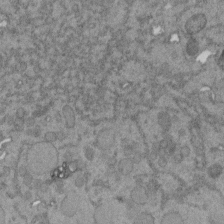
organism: C. elegans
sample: C. elegans embryo early stage